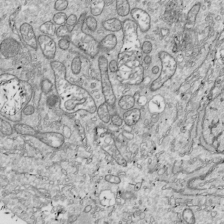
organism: Drosophila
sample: Cell division; meiosis; drosophila spermatocytes